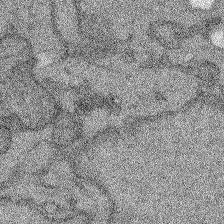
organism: Human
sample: HeLa cells